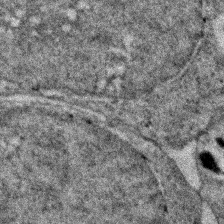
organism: Zebrafish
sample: Zebrafish embryo